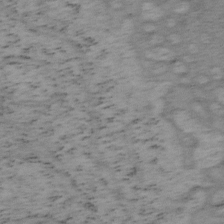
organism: Mouse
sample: OT-I killer T cells with ID8 ovarian cancer cells